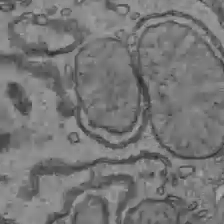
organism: C57BL Mouse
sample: Liver